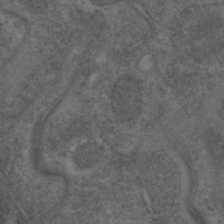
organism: C. elegans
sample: C. elegans embryo